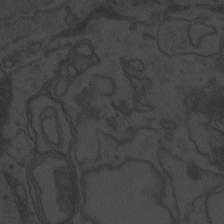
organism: Zebrafish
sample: Macrophage infected with Toxoplasma gondii